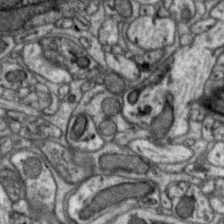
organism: Zebra finch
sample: Brain